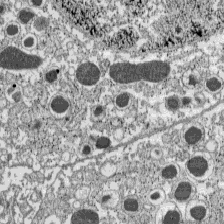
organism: C57BL Mouse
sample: Pancreatic islet